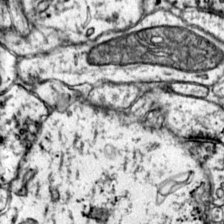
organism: Mouse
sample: Primary visual cortex